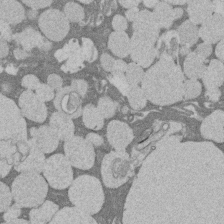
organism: Rat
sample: Salivary granule